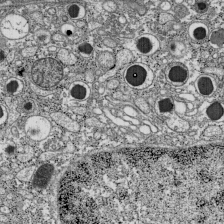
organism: C57BL Mouse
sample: Pancreatic islet